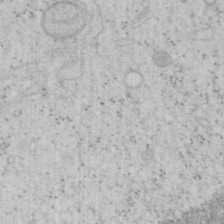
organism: Human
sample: HeLa cells